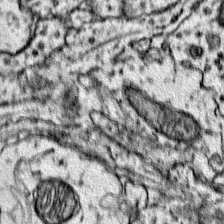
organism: Mouse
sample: Primary visual cortex